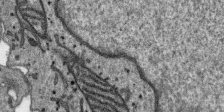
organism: Human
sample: Lung epithelial cells, uninfected (mock) control